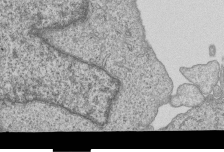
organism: Human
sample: MDA-MB-231 cells